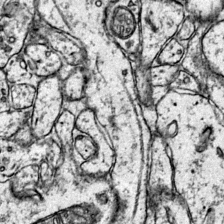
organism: Mouse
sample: Primary visual cortex